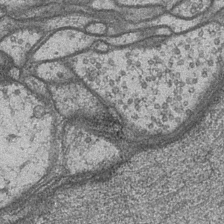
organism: Drosophila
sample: Optic medulla